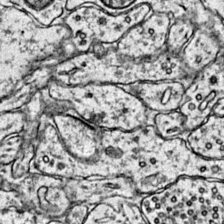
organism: Mouse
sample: Primary visual cortex